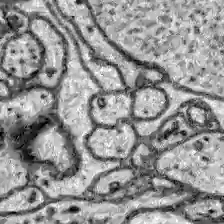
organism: Zebrafish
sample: Brain